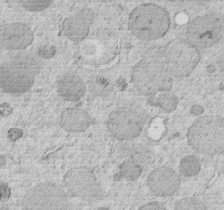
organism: C. elegans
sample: C. elegans embryo early stage